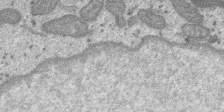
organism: Human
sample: Lung epithelial cells infected with SARS-CoV-2